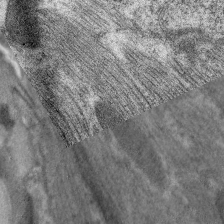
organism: C. elegans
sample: Pharynx